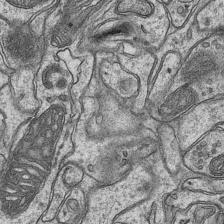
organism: Mouse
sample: CA1 Hippocampus